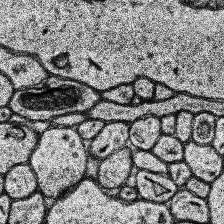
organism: Human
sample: Temporal Lobe